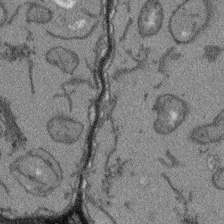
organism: Arabidopsis thaliana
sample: Root tip